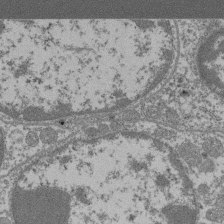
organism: Mouse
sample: Glomerulus